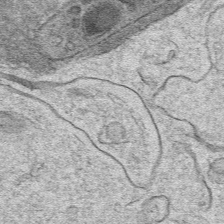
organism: Mouse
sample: Mouse hepatocytes